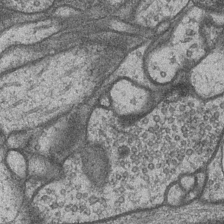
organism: Drosophila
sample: Optic medulla